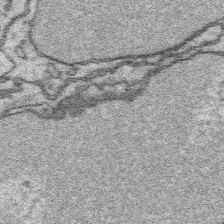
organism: Platynereis dumerilii